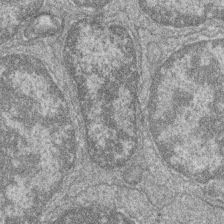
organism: Zebrafish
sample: Cilia; retinal pigment epithelium